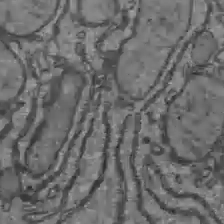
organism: C57BL Mouse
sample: Liver